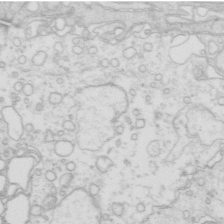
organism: Mouse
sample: Multiciliated cells